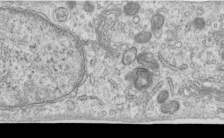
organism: Human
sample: Centriole in RPE cells